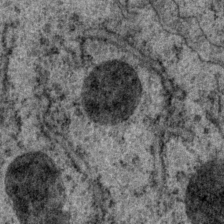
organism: P. pacificus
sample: Pharynx